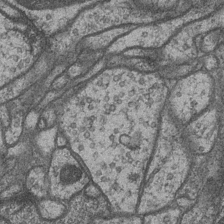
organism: Drosophila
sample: Optic medulla